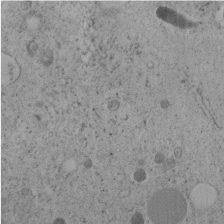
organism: C. elegans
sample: C. elegans embryo early stage